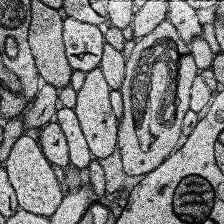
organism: Human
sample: Temporal Lobe